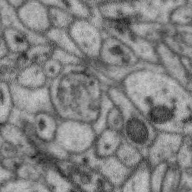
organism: Zebra finch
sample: Brain